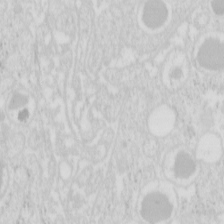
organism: Mouse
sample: Pancreas